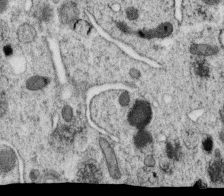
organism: C. elegans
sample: C. elegans oocyte; sperm cells